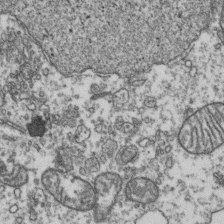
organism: Human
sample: Activated Jurkat CD4+ T cells